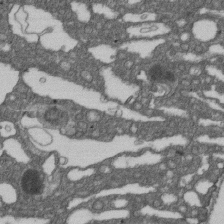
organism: Drosophila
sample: Nephrocyte